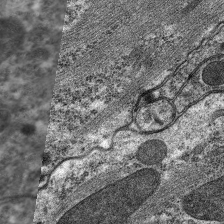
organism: C. elegans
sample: Pharynx